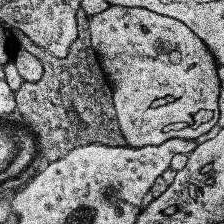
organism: Human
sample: Temporal Lobe